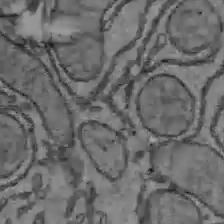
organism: C57BL Mouse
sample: Liver